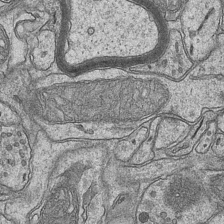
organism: Mouse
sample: CA1 Hippocampus